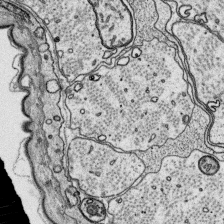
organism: Platynereis dumerilii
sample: Parapodia